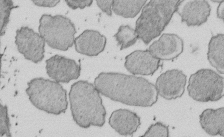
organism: E. coli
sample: Bacterial nucleoid